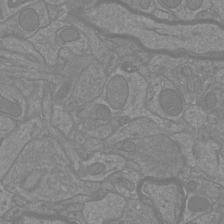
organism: Mouse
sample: Cortical neurons